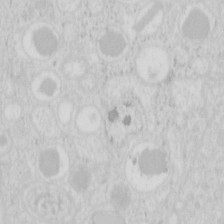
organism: Mouse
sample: Pancreas